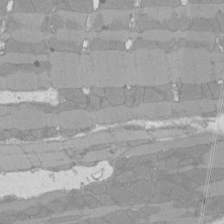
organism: Rat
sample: Left ventricle